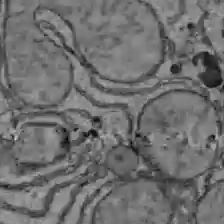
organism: C57BL Mouse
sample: Liver